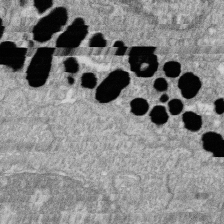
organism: Zebrafish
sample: Cilia; retinal pigment epithelium